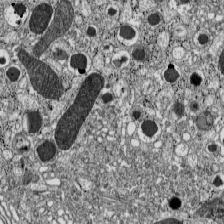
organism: C57BL Mouse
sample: Pancreatic islet